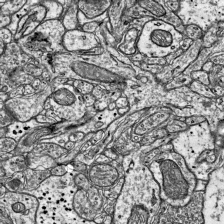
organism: Mouse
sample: Visual Cortex